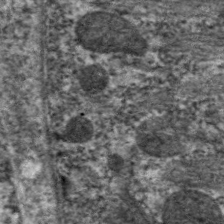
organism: C. elegans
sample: Pharynx